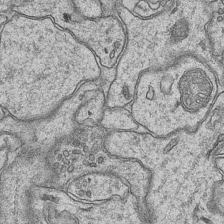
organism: Mouse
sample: CA1 Hippocampus